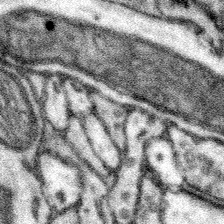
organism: Mouse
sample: Somatosensory cortex neuropil